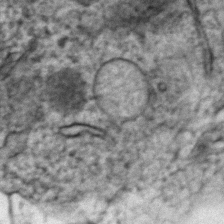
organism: Zebrafish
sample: Zebrafish embryo